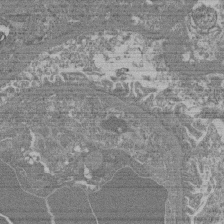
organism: Mouse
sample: Glomerulus